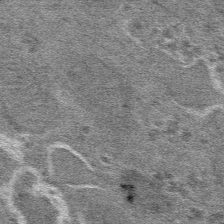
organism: Mouse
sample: Mouse hepatocytes